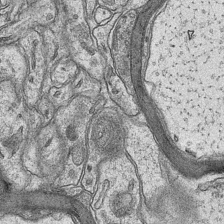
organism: Mouse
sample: CA1 Hippocampus